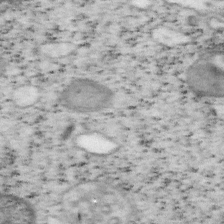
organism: Mouse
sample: OT-I killer T cells with ID8 ovarian cancer cells